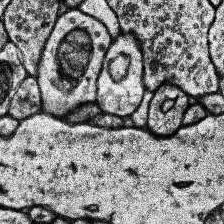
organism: Human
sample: Temporal Lobe